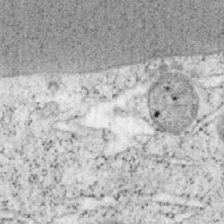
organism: Mouse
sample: OT-I killer T cells with ID8 ovarian cancer cells